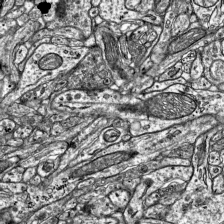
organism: Mouse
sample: Visual Cortex